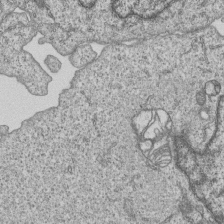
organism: Human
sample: MDA-MB-231 cells